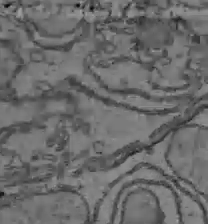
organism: C57BL Mouse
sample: Liver